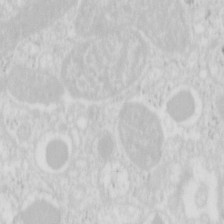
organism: Mouse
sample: Pancreas